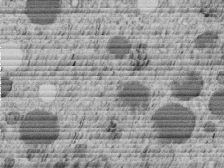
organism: C. elegans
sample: C. elegans embryo early stage